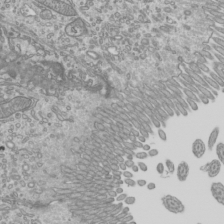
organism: Mouse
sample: Cilia; mouse epididymis